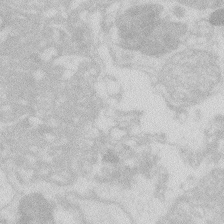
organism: Zebrafish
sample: Macrophage